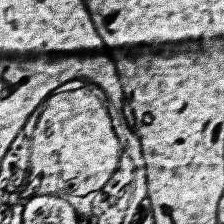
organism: Human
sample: Temporal Lobe